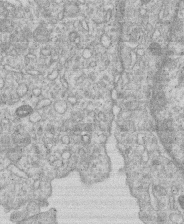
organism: Human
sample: Macrophage cells